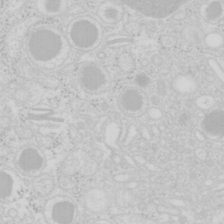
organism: Mouse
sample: Pancreas